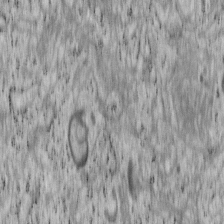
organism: Human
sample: HeLa cells